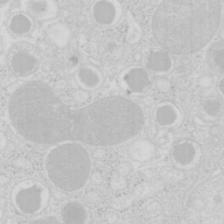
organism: Mouse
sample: Pancreas